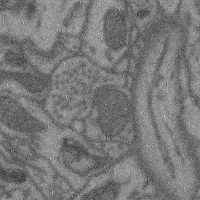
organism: Mouse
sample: Cerebral cortex